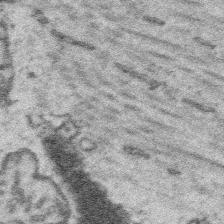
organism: Platynereis dumerilii